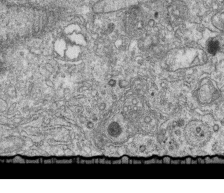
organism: Human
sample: HeLa cell HIV synapse